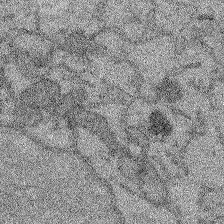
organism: Human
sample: HeLa cells